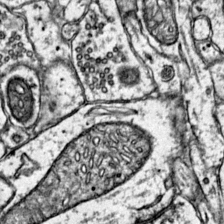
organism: Mouse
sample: Primary visual cortex